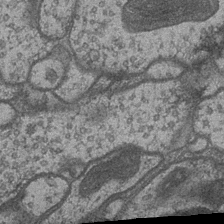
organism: Drosophila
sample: Optic medulla